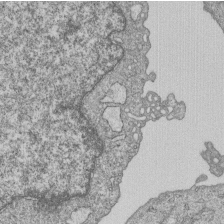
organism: Human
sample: MDA-MB-231 cells